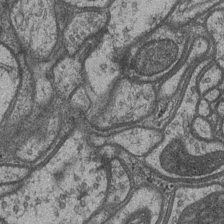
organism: Drosophila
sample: Optic medulla